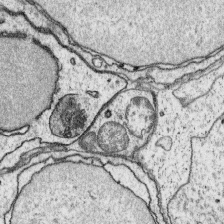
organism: Platynereis dumerilii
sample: Parapodia